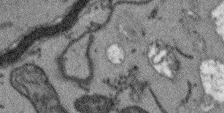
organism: Arabidopsis thaliana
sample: Root tip